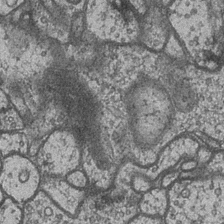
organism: Drosophila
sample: Optic medulla